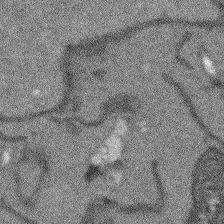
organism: Arabidopsis thaliana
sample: Root tip